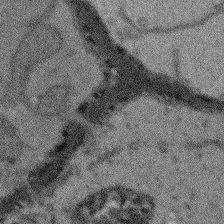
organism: Arabidopsis thaliana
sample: Root tip